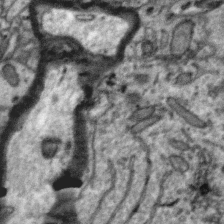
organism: Zebra finch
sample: Brain